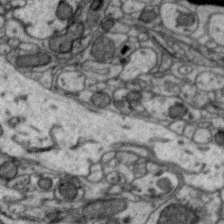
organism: Zebra finch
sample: Brain